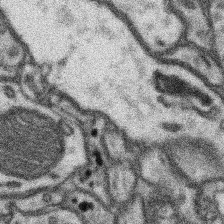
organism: Mouse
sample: Somatosensory cortex neuropil